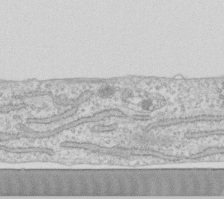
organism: Human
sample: Fibroblast cells